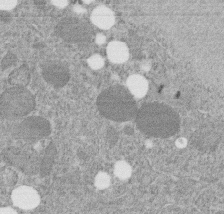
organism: C. elegans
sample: C. elegans embryo early stage